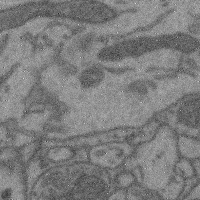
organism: Mouse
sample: Cerebral cortex